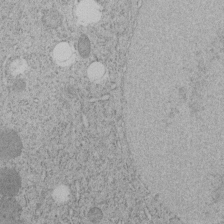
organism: C. elegans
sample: C. elegans embryo early stage